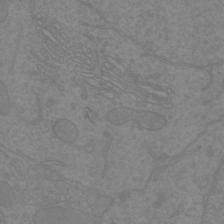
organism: Mouse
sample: Cortical neurons